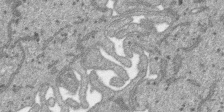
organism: Human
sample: Lung epithelial cells infected with SARS-CoV-2